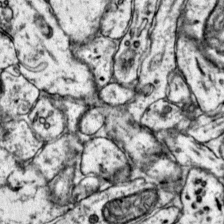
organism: Mouse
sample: Primary visual cortex